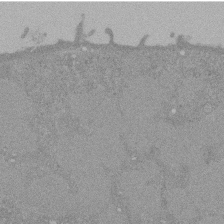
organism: Mouse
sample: ED-1 cell nuclei; centrioles